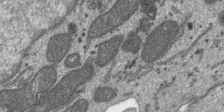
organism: Human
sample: Lung epithelial cells infected with SARS-CoV-2